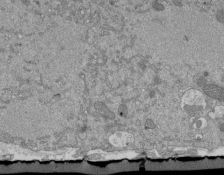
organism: Mouse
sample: ED-1 cell nuclei; centrioles